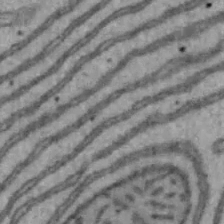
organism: Mouse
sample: Liver